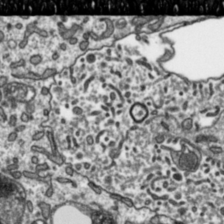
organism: Toxoplasma gondii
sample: Parasites in a vacuole inside a host cell